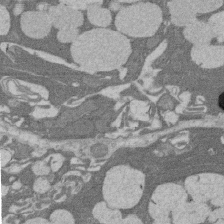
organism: Rat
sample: Salivary granule